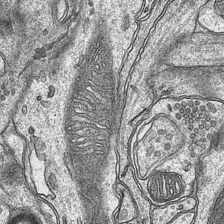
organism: Mouse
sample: CA1 Hippocampus